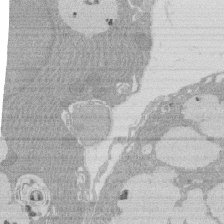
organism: Rat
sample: Salivary granule